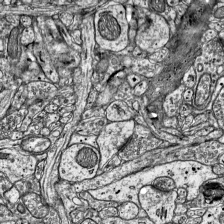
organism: Mouse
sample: Visual Cortex